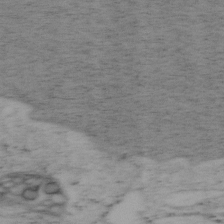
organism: Mouse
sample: OT-I killer T cells with ID8 ovarian cancer cells